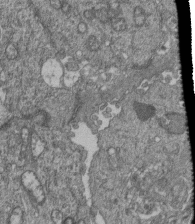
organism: Human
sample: Retinal organoid Rod and Cone cells